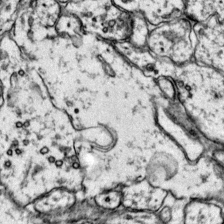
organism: Mouse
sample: Primary visual cortex